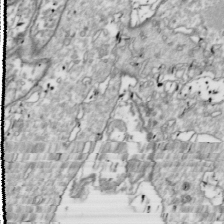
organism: Drosophila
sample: Cell division; meiosis; drosophila spermatocytes